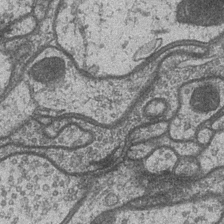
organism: Drosophila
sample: Optic medulla